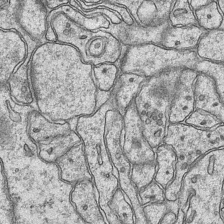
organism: Mouse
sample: CA1 Hippocampus